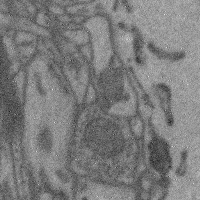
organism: Mouse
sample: Cerebral cortex